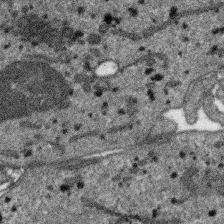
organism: Human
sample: Lung epithelial cells infected with SARS-CoV-2